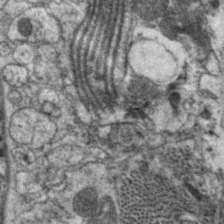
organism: C. elegans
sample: Pharynx